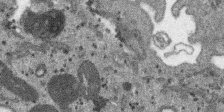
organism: Human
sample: Lung epithelial cells infected with SARS-CoV-2